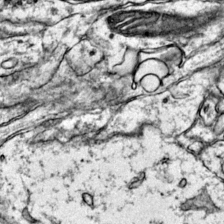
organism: Mouse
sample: Primary visual cortex